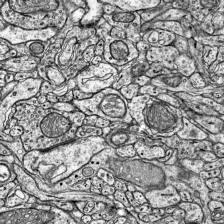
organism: Mouse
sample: Visual Cortex